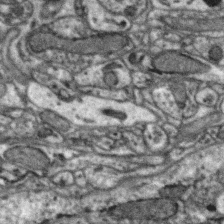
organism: Zebra finch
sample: Brain